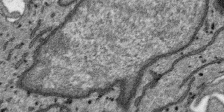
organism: Human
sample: Lung epithelial cells, uninfected (mock) control